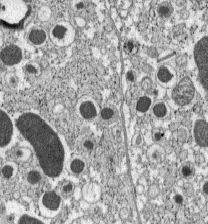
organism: C57BL Mouse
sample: Pancreatic islet